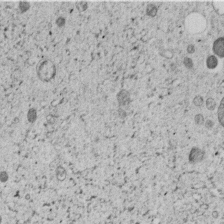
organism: C. elegans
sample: C. elegans embryo early stage